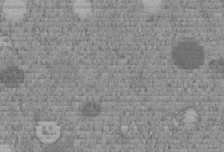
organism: C. elegans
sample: C. elegans embryo early stage